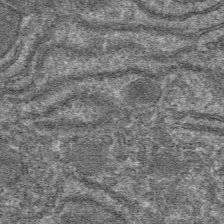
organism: Mouse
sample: Mouse hepatocytes